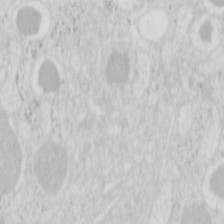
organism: Mouse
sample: Pancreas